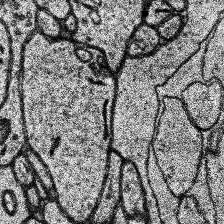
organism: Human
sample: Temporal Lobe